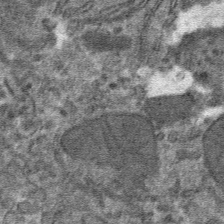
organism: Mouse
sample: Mouse hepatocytes